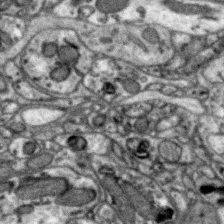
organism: Zebra finch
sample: Brain